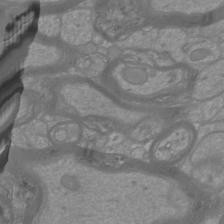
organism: Mouse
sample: Cortical neurons